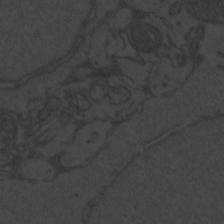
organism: Zebrafish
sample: Macrophage infected with Toxoplasma gondii